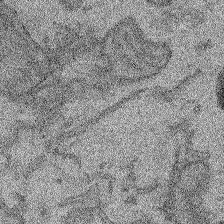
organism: Human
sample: HeLa cells